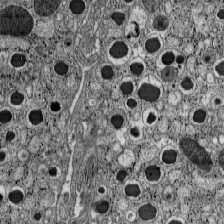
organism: C57BL Mouse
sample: Pancreatic islet